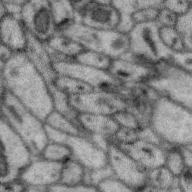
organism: Zebra finch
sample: Brain